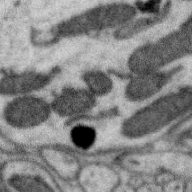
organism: Zebra finch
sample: Brain